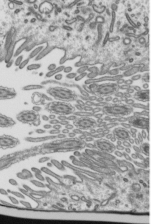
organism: Mouse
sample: Mouse epididymis efferent ductule cilia